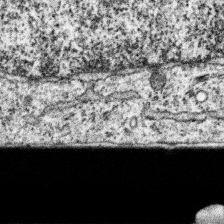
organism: Human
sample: HeLa cells